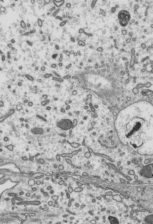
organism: Mouse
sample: Mouse epididymis efferent ductule cilia